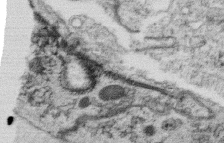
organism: C. elegans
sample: C. elegans oocyte; sperm cells